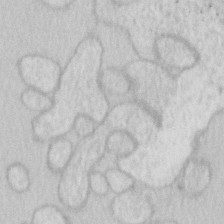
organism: Human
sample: HeLa cells